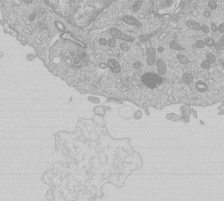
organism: Human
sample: Macrophage cells